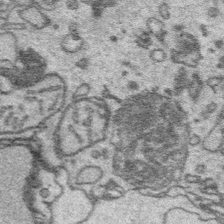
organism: Platynereis dumerilii